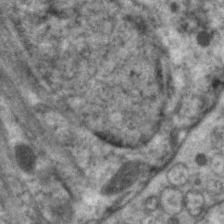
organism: C. elegans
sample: Pharynx